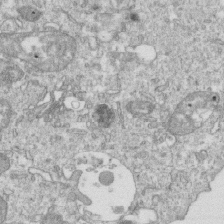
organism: Mouse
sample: Activated OT-1 CD8+ T cells